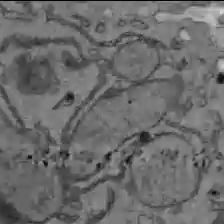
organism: C57BL Mouse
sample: Liver